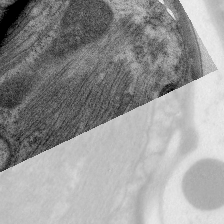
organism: C. elegans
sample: Pharynx